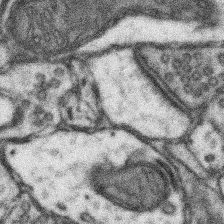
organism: Mouse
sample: Somatosensory cortex neuropil